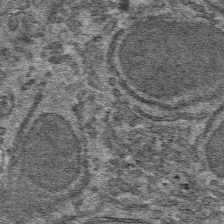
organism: Mouse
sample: Mouse hepatocytes